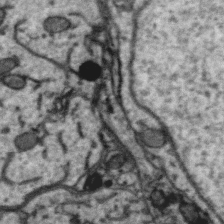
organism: Zebra finch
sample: Brain